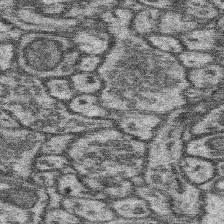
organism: Mouse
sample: Somatosensory cortex neuropil